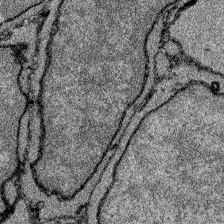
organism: Zebrafish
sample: Larval olfactory bulb